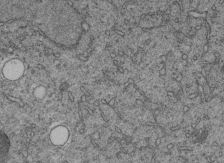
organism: C. elegans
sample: C. elegans embryo early stage